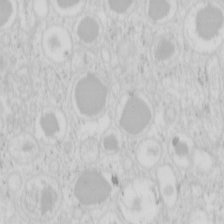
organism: Mouse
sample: Pancreas